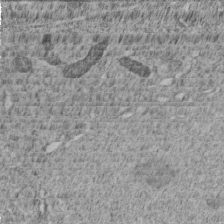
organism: C. elegans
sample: C. elegans embryo early stage